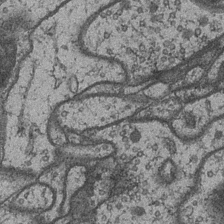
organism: Drosophila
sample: Optic medulla